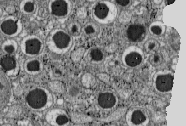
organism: C57BL Mouse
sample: Pancreatic islet